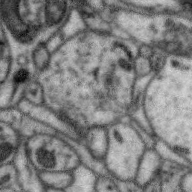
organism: Zebra finch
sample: Brain